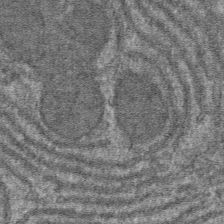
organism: Mouse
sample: Mouse hepatocytes